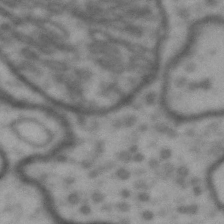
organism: Drosophila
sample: Brain